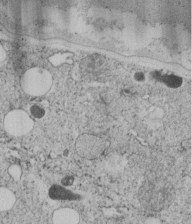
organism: C. elegans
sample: C. elegans embryo early stage